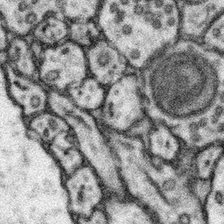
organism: Mouse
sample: Somatosensory cortex neuropil